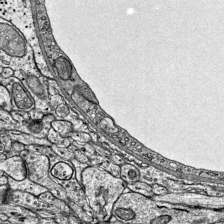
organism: Mouse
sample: Visual Cortex